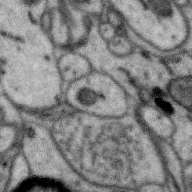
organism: Zebra finch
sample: Brain